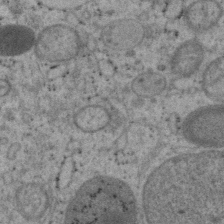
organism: Human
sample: HeLa cells